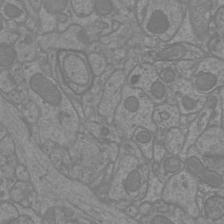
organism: Mouse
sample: Cortical neurons